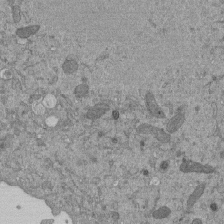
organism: Mouse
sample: ED-1 cell nuclei; centrioles